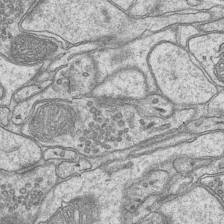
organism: Mouse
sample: CA1 Hippocampus